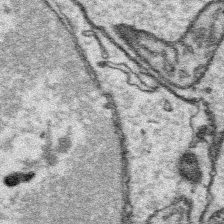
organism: Platynereis dumerilii